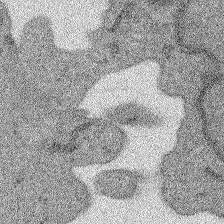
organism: Human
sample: HeLa cells